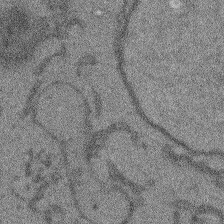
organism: Arabidopsis thaliana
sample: Root tip